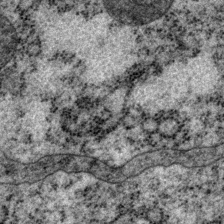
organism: P. pacificus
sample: Pharynx